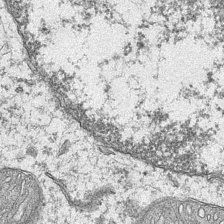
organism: Mouse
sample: CA1 Hippocampus